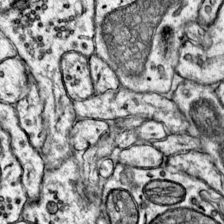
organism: Mouse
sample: Primary visual cortex